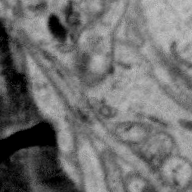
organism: Zebra finch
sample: Brain